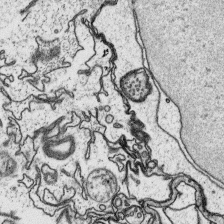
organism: Platynereis dumerilii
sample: Parapodia